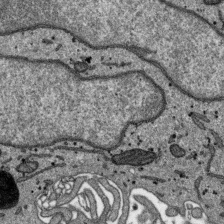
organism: Human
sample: Lung epithelial cells, uninfected (mock) control